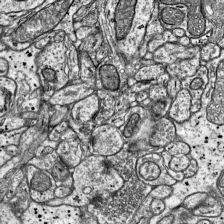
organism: Mouse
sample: Visual Cortex